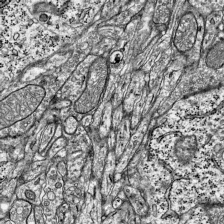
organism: Mouse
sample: Visual Cortex